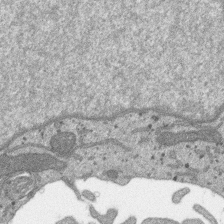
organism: Human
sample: Lung epithelial cells infected with SARS-CoV-2